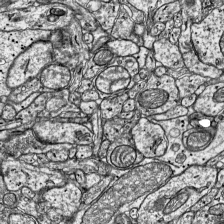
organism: Mouse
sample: Visual Cortex